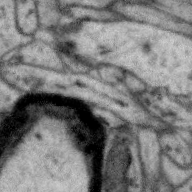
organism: Zebra finch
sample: Brain